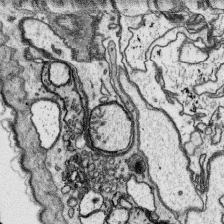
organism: Platynereis dumerilii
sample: Parapodia